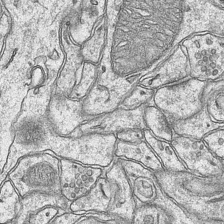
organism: Mouse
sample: CA1 Hippocampus